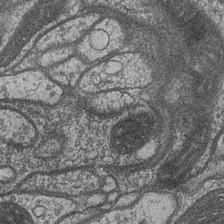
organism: Drosophila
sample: Optic medulla